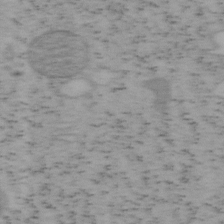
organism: Mouse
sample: OT-I killer T cells with ID8 ovarian cancer cells